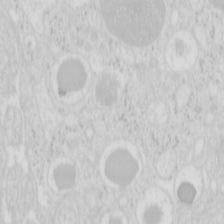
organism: Mouse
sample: Pancreas